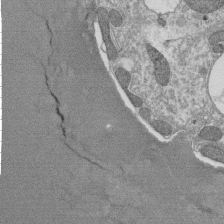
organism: Tetrahymena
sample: Cilia in tetrahymena